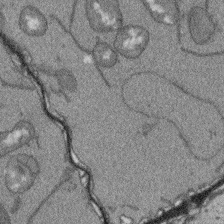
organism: Arabidopsis thaliana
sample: Root tip